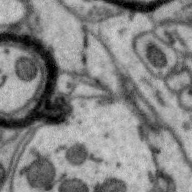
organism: Zebra finch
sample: Brain